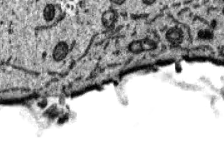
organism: Human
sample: HeLa cells